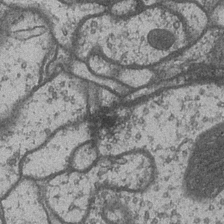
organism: Drosophila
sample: Optic medulla